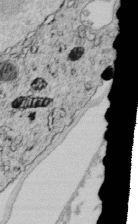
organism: C. elegans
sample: C. elegans embryo early stage